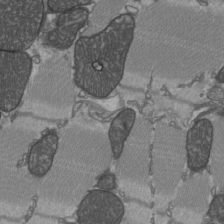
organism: C57BL Mouse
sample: Heart